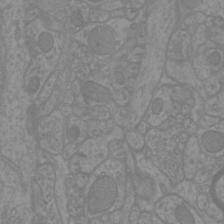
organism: Mouse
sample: Cortical neurons